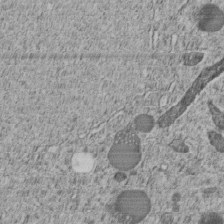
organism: C. elegans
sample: C. elegans embryo early stage